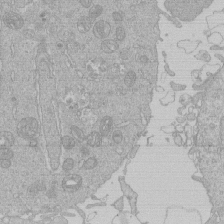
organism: Human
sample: Macrophage cells